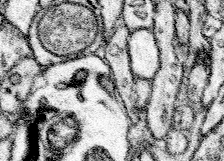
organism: Mouse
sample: Somatosensory cortex neuropil